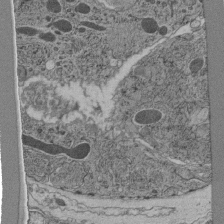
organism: C. elegans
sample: C. elegans pharynx